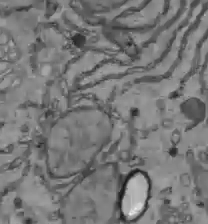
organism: C57BL Mouse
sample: Liver